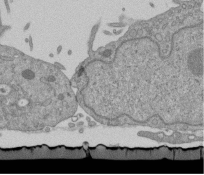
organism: Mouse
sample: ED-1 cell nuclei; centrioles